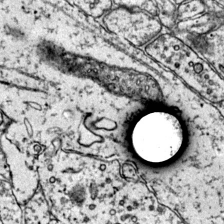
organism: Mouse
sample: Primary visual cortex